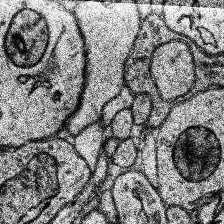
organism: Human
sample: Temporal Lobe